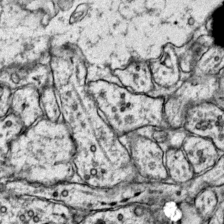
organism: Mouse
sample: Primary visual cortex